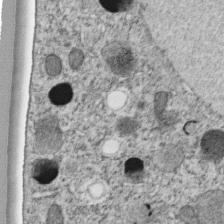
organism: C. elegans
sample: C. elegans embryo early stage